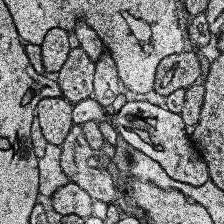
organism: Human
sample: Temporal Lobe